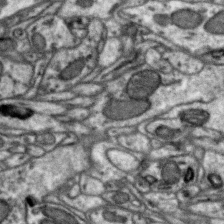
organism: Zebra finch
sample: Brain